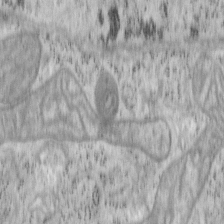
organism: Human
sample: HeLa cells